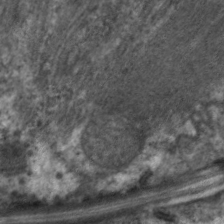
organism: C. elegans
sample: Pharynx